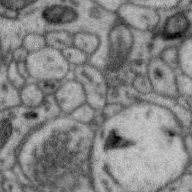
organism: Zebra finch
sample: Brain